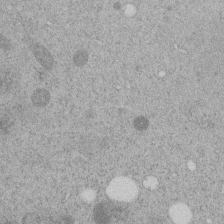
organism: C. elegans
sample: C. elegans embryo early stage